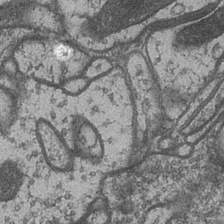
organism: Drosophila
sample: Optic medulla